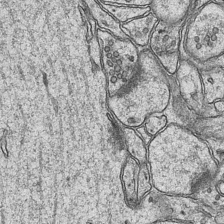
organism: Mouse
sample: CA1 Hippocampus